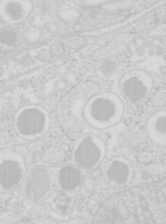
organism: Mouse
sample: Pancreas